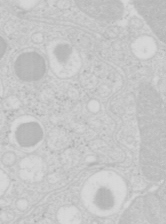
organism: Mouse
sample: Pancreas